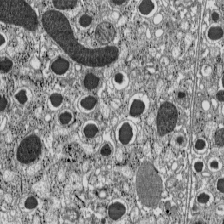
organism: C57BL Mouse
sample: Pancreatic islet